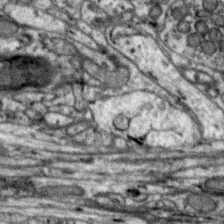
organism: Zebra finch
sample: Brain